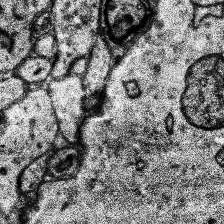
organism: Human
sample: Temporal Lobe